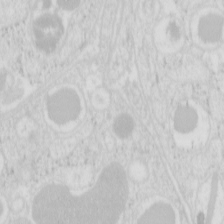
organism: Mouse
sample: Pancreas